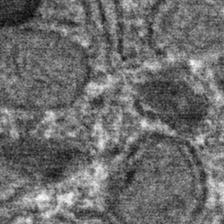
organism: Mouse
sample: Mouse hepatocytes